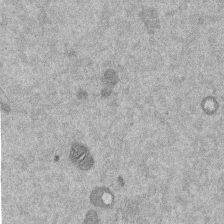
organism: Mouse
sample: Dividing mouse embryo 1 cell stage